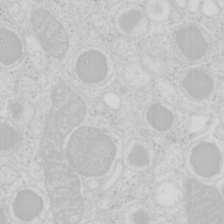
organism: Mouse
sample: Pancreas